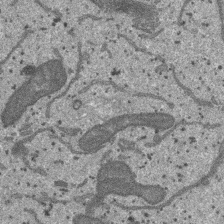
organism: Human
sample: Lung epithelial cells infected with SARS-CoV-2